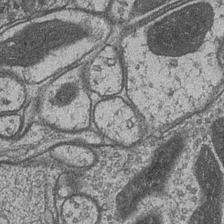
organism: Drosophila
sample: Optic medulla